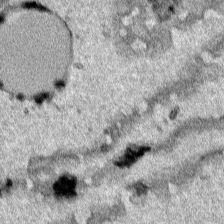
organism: Human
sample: Mitochondria in HCT116 cells